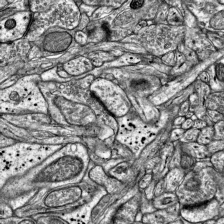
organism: Mouse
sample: Visual Cortex